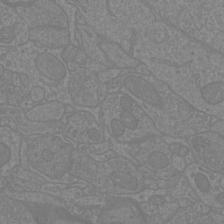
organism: Mouse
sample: Cortical neurons